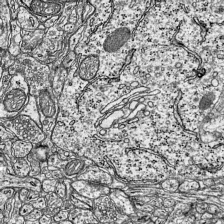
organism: Mouse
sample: Visual Cortex